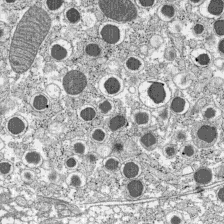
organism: C57BL Mouse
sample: Pancreatic islet